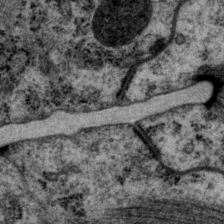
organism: P. pacificus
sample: Pharynx